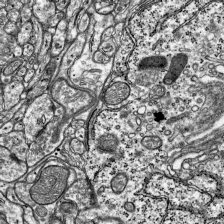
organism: Mouse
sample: Visual Cortex